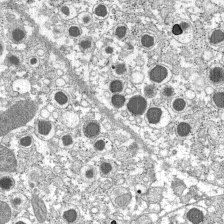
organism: C57BL Mouse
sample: Pancreatic islet